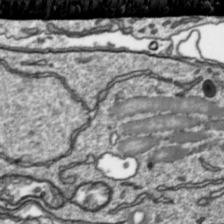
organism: Toxoplasma gondii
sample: Parasites in a vacuole inside a host cell